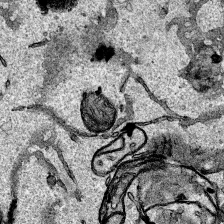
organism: Human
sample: Mitochondria in HCT116 cells